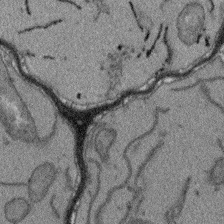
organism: Arabidopsis thaliana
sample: Root tip